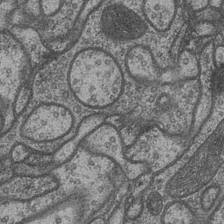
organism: Drosophila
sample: Optic medulla